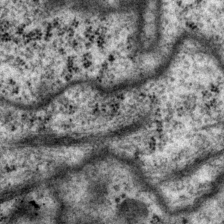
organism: P. pacificus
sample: Pharynx